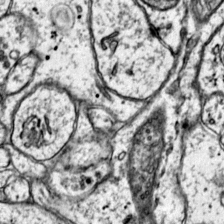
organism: Mouse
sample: Primary visual cortex